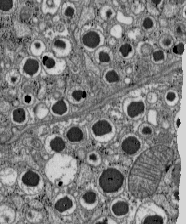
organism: C57BL Mouse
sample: Pancreatic islet